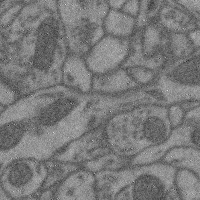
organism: Mouse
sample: Cerebral cortex